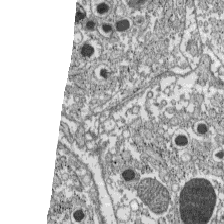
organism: C57BL Mouse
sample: Pancreatic islet